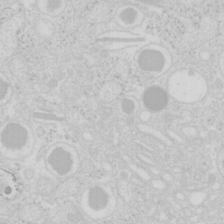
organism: Mouse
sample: Pancreas